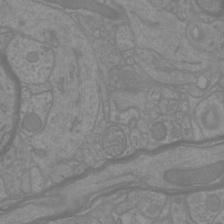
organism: Mouse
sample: Cortical neurons